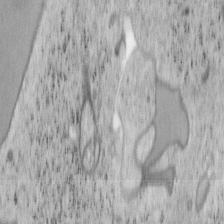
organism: Human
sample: HeLa cells